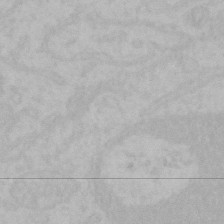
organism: Mouse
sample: Choroid plexus